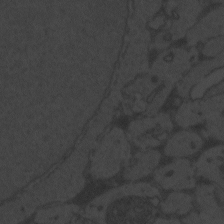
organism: Zebrafish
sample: Macrophage infected with Toxoplasma gondii